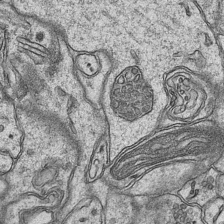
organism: Mouse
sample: CA1 Hippocampus